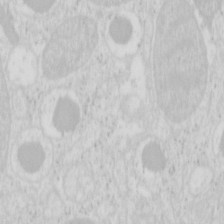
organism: Mouse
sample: Pancreas